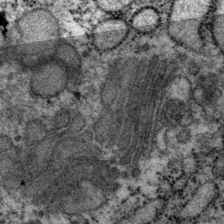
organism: P. pacificus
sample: Pharynx